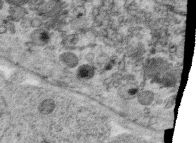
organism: C. elegans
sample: C. elegans oocyte; sperm cells